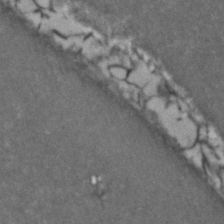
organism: Zebrafish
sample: Zebrafish embryo